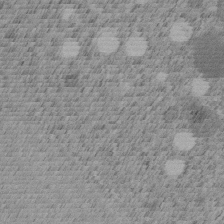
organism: C. elegans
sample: C. elegans embryo early stage